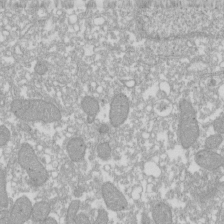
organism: Xenopus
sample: Cilia; centrioles in frog embryo cells